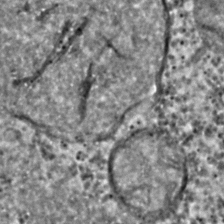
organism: C. elegans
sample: C. elegans embryo